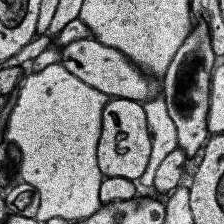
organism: Human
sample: Temporal Lobe